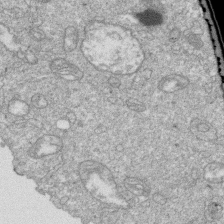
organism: Human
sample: HeLa cell HIV synapse